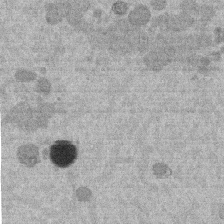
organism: Mouse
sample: Dividing mouse embryo 1 cell stage